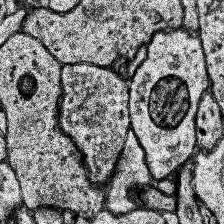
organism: Human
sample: Temporal Lobe